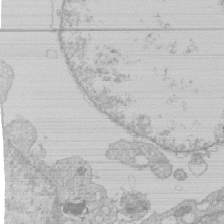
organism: Human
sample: Macrophage cells